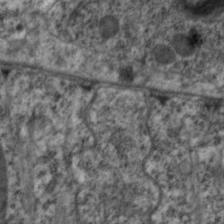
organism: C. elegans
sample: Pharynx